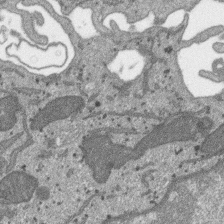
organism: Human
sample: Lung epithelial cells infected with SARS-CoV-2